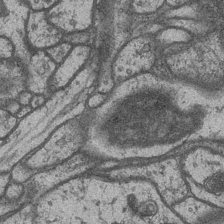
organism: Drosophila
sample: Optic medulla